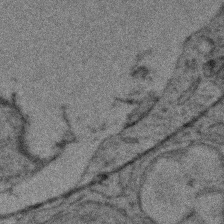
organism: Zebrafish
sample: Zebrafish embryo